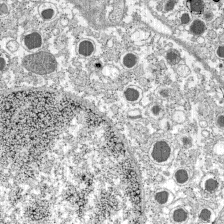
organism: C57BL Mouse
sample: Pancreatic islet